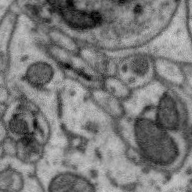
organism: Zebra finch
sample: Brain